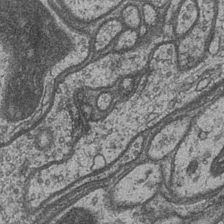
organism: Drosophila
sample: Optic medulla